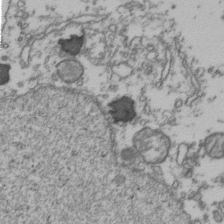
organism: Human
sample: Activated Jurkat CD4+ T cells